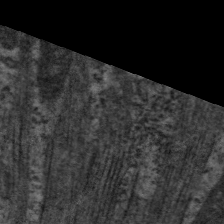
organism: C. elegans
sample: Pharynx